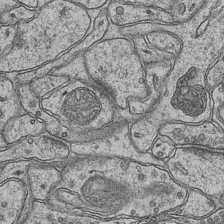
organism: Mouse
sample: CA1 Hippocampus